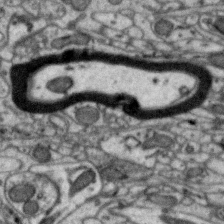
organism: Zebra finch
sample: Brain